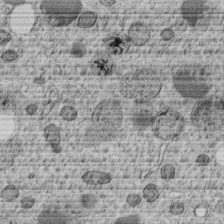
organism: C. elegans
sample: C. elegans embryo early stage